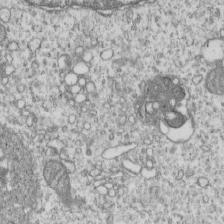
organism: Human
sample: MDA-MB-231 cells